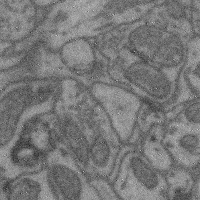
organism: Mouse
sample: Cerebral cortex